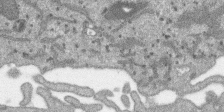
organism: Human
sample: Lung epithelial cells infected with SARS-CoV-2